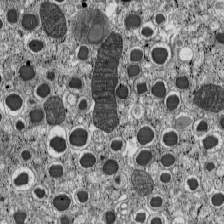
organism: C57BL Mouse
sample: Pancreatic islet